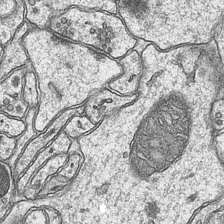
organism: Mouse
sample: CA1 Hippocampus